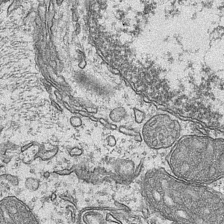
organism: Mouse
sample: CA1 Hippocampus